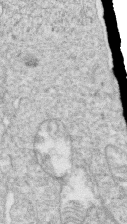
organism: Human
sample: HeLa cell HIV synapse